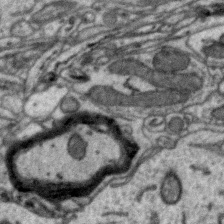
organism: Zebra finch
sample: Brain